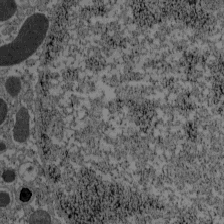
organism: C57BL Mouse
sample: Pancreatic islet